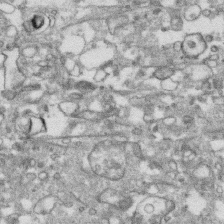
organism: Human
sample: CRL-1474